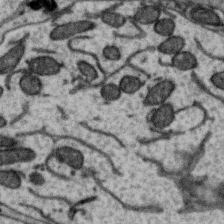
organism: Zebra finch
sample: Brain